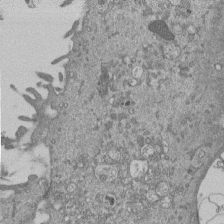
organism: Mouse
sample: ED-1 cell nuclei; centrioles